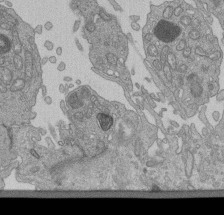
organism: Human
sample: Retinal organoid Rod and Cone cells